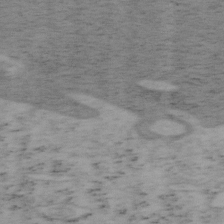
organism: Mouse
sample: OT-I killer T cells with ID8 ovarian cancer cells